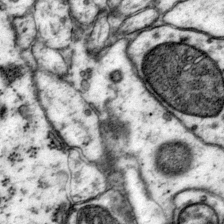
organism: Mouse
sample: Primary visual cortex